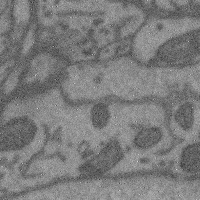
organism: Mouse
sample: Cerebral cortex